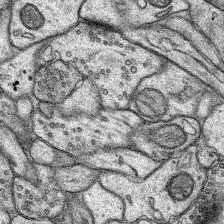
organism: Rat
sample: Hippocampus